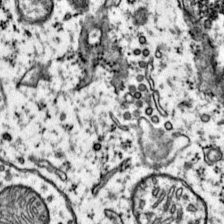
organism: Mouse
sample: Primary visual cortex